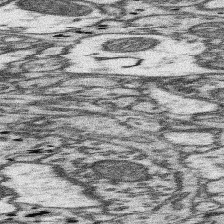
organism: Mouse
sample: Somatosensory cortex neuropil